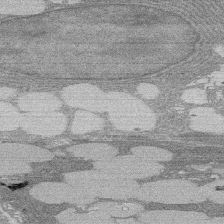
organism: Rat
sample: Salivary granule